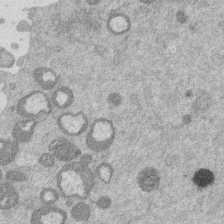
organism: Mouse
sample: Dividing mouse embryo 1 cell stage